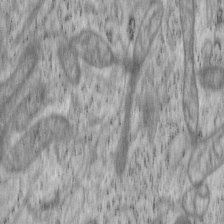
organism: Human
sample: HeLa cells